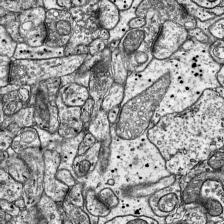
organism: Mouse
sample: Visual Cortex